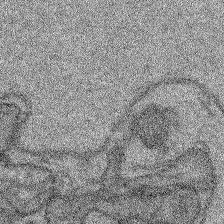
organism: Human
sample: HeLa cells